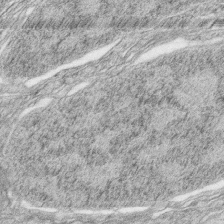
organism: Zebrafish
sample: synaptic ribbons in rod cells and cone cells